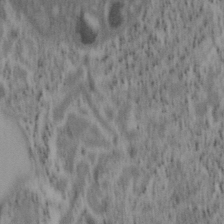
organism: Mouse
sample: OT-I killer T cells with ID8 ovarian cancer cells